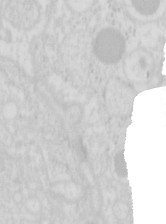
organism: Mouse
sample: Pancreas